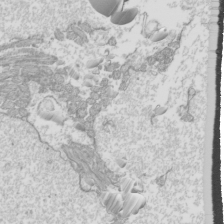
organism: Mouse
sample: Cilia; mouse epididymis